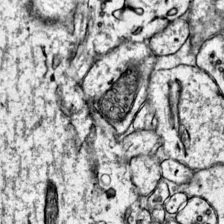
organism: Mouse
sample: Primary visual cortex